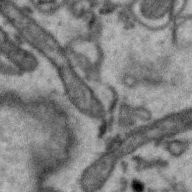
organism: Zebra finch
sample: Brain